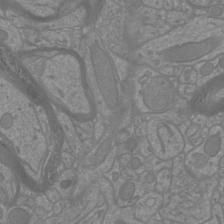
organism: Mouse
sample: Cortical neurons